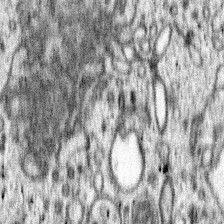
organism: Human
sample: HeLa cells